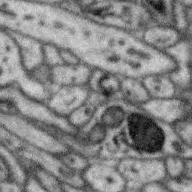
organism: Zebra finch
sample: Brain